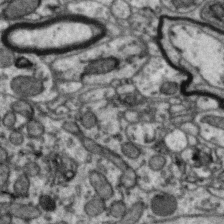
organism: Zebra finch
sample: Brain